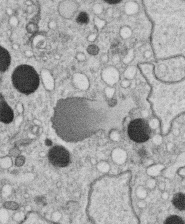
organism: C. elegans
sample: C. elegans oocyte; sperm cells